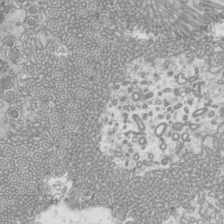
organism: Mouse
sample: Cilia; mouse epididymis